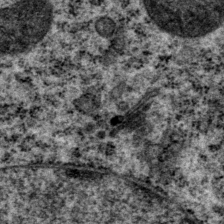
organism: P. pacificus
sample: Pharynx